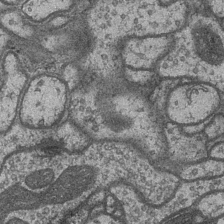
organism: Drosophila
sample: Optic medulla